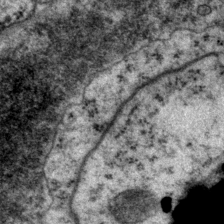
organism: P. pacificus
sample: Pharynx